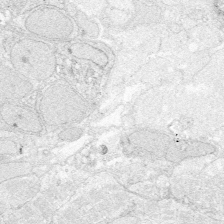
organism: Zebrafish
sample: Whole-Brain